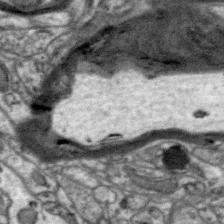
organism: Zebra finch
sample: Brain